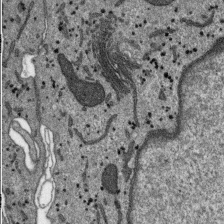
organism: Human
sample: Lung epithelial cells, uninfected (mock) control